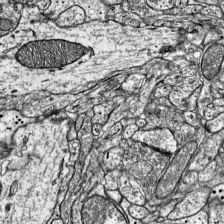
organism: Mouse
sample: Visual Cortex